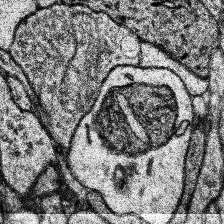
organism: Human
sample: Temporal Lobe